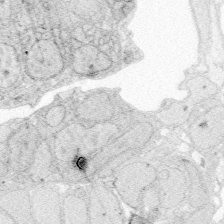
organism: Zebrafish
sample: Whole-Brain